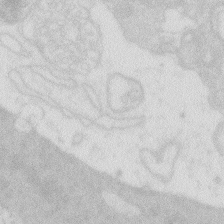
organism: Zebrafish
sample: Macrophage